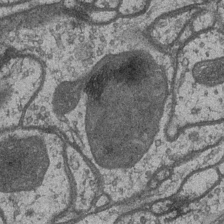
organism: Drosophila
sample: Optic medulla